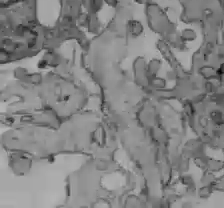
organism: C57BL Mouse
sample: Liver